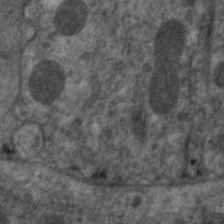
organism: C. elegans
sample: Pharynx